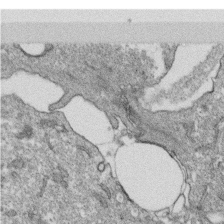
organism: African green monkey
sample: Vero E6 cells infected with SARS-CoV-2